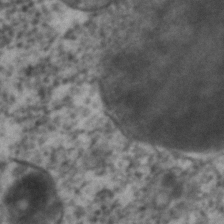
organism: C. elegans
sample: C. elegans embryo